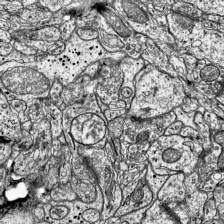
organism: Mouse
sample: Visual Cortex